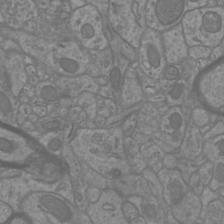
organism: Mouse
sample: Cortical neurons